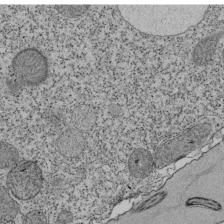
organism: Tetrahymena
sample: Cilia in tetrahymena